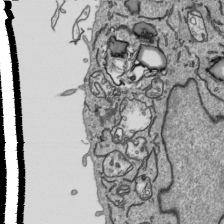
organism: Human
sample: Mitochondria in HCT116 cells